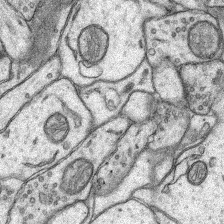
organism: Rat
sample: Hippocampus